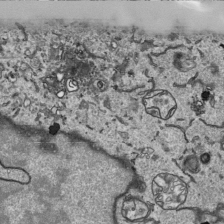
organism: Human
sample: Mitochondria in HCT116 cells